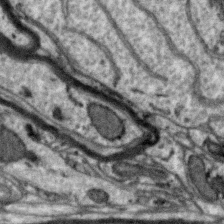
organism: Zebra finch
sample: Brain